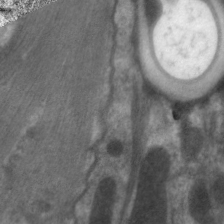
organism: C. elegans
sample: Pharynx